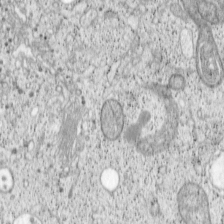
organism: African green monkey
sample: COS-7 cells